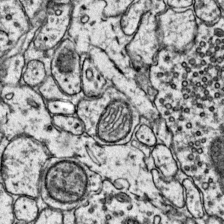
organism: Mouse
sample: Primary visual cortex